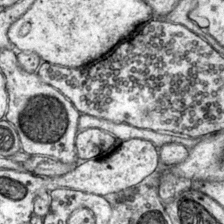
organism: Mouse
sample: Primary visual cortex